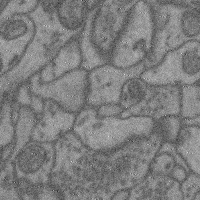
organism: Mouse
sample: Cerebral cortex